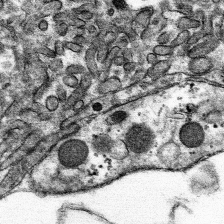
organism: Mouse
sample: Mouse hepatocytes